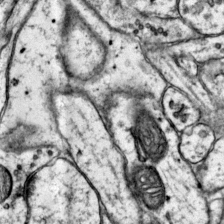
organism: Mouse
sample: Primary visual cortex